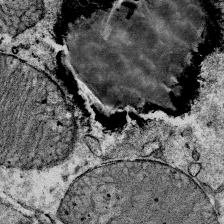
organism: Mouse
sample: Mouse Salivary gland